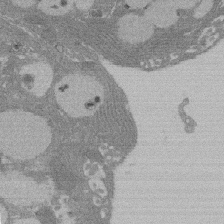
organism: Rat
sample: Salivary granule